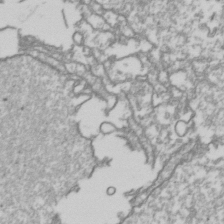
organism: Drosophila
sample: Cell division; meiosis; drosophila spermatocytes